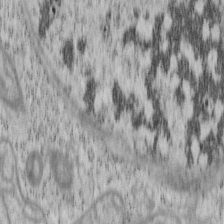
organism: Human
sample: HeLa cells